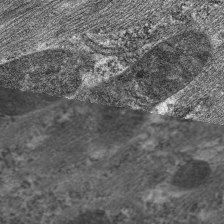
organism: C. elegans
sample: Pharynx